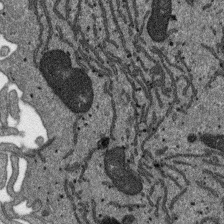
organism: Human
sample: Lung epithelial cells infected with SARS-CoV-2